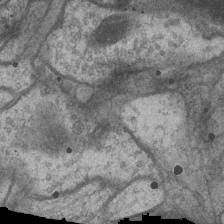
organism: Drosophila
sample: Optic medulla